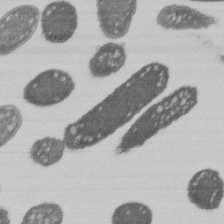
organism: E. coli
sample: Bacterial nucleoid